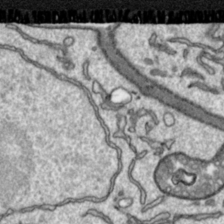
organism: Toxoplasma gondii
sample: Parasites in a vacuole inside a host cell